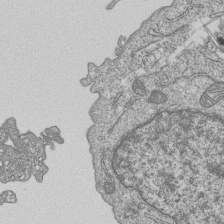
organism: Human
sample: MDA-MB-231 cells